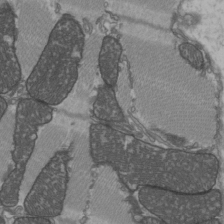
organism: C57BL Mouse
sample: Heart